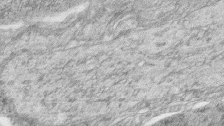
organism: Zebrafish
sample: synaptic ribbons in rod cells and cone cells